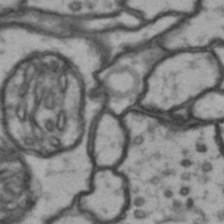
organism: Drosophila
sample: Brain